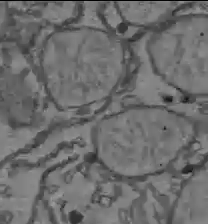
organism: C57BL Mouse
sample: Liver